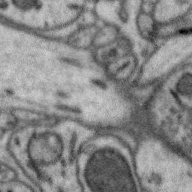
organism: Zebra finch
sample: Brain